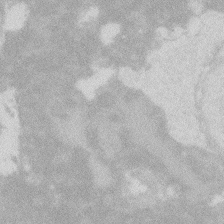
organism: Zebrafish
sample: Macrophage